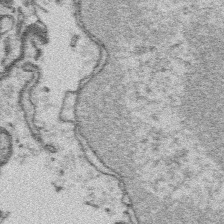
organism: Platynereis dumerilii